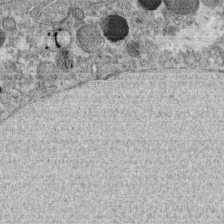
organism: C. elegans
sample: C. elegans oocyte; sperm cells